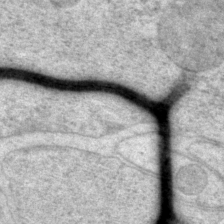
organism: P. pacificus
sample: Pharynx